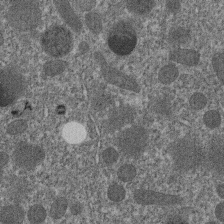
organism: C. elegans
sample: C. elegans embryo early stage